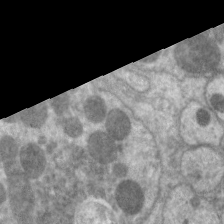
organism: C. elegans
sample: Pharynx